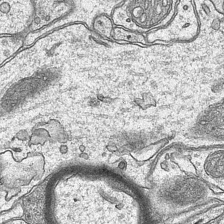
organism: Mouse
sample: CA1 Hippocampus